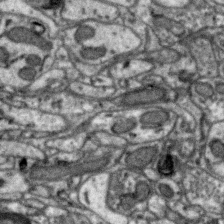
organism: Zebra finch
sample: Brain